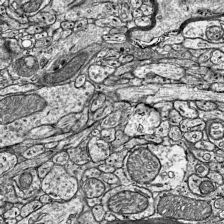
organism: Mouse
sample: Visual Cortex